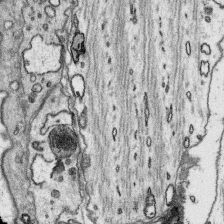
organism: Platynereis dumerilii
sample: Parapodia